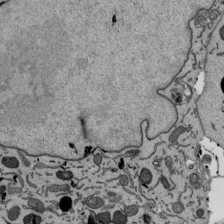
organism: Mouse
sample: ED-1 cell nuclei; centrioles